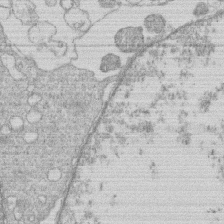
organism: Human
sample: Macrophage cells